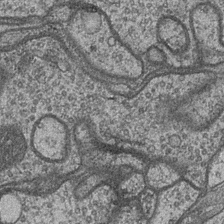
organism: Drosophila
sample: Optic medulla